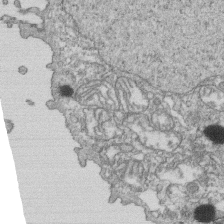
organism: Human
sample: HeLa cell HIV synapse